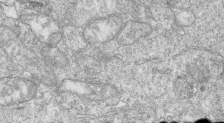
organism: Human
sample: HeLa cell HIV synapse